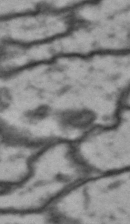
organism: Drosophila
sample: Brain